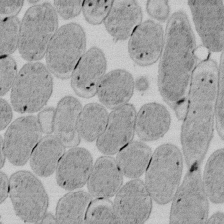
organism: E. coli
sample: Bacterial nucleoid